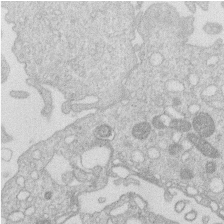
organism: Human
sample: Macrophage cells